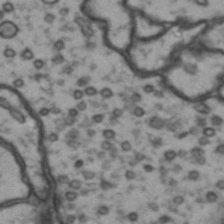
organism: Drosophila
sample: Brain